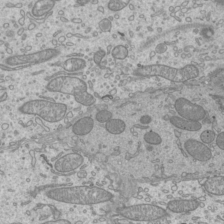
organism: Mouse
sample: Cilia; mouse epididymis